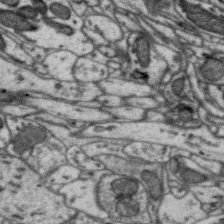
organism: Zebra finch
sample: Brain